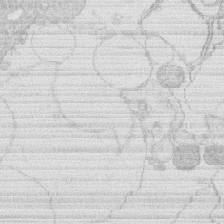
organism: Human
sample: Macrophage cells